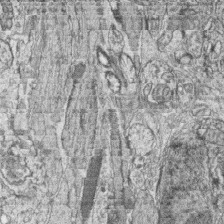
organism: Zebrafish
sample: synaptic ribbons in rod cells and cone cells